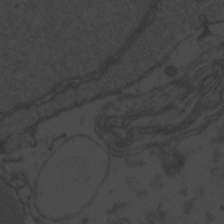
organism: Zebrafish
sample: Macrophage infected with Toxoplasma gondii